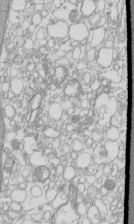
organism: Mouse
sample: Macrophages